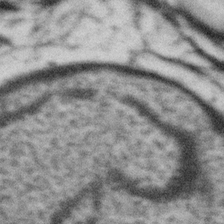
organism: Gemmata obscuriglobus